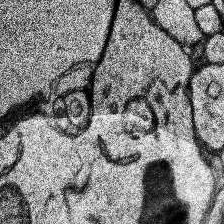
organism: Human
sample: Temporal Lobe